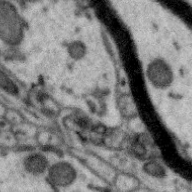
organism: Zebra finch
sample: Brain